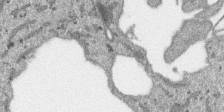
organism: Human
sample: Lung epithelial cells infected with SARS-CoV-2